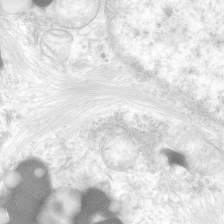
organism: Human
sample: Neocortex